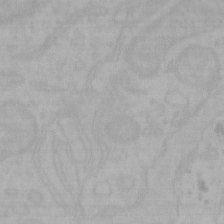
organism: Mouse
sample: Choroid plexus